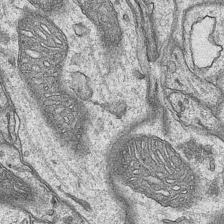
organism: Mouse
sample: CA1 Hippocampus